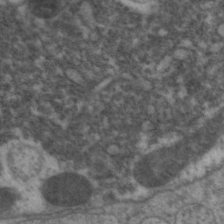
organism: C. elegans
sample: Pharynx